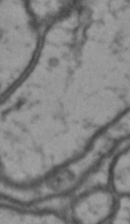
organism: Drosophila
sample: Brain